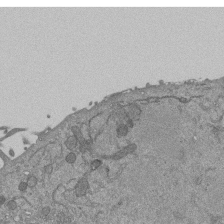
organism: Mouse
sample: ED-1 cell nuclei; centrioles